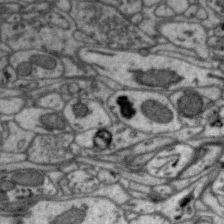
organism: Zebra finch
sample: Brain